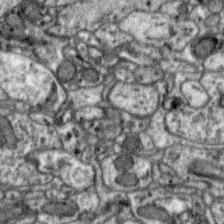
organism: Zebra finch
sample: Brain